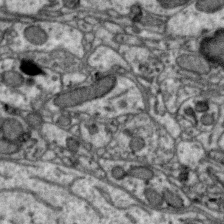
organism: Zebra finch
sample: Brain